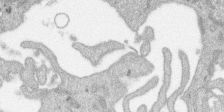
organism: Human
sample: Lung epithelial cells infected with SARS-CoV-2